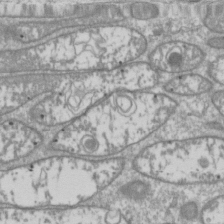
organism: Drosophila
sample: Cell division; meiosis; drosophila spermatocytes